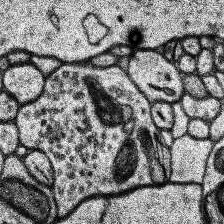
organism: Human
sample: Temporal Lobe